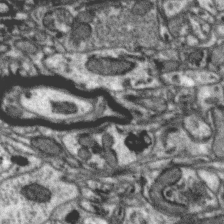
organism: Zebra finch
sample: Brain